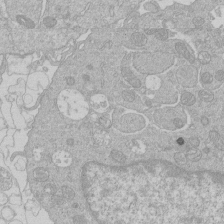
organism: Human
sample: Macrophage cells